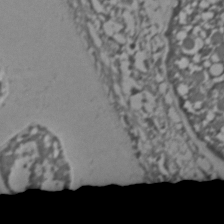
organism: C. elegans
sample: C. elegans embryo